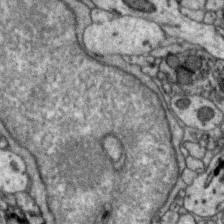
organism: Zebra finch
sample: Brain